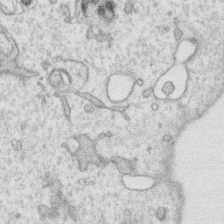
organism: Human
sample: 1205lu cells